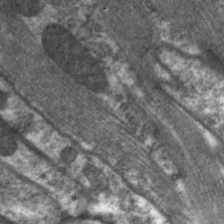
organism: C. elegans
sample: Pharynx